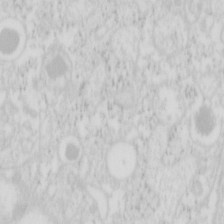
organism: Mouse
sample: Pancreas